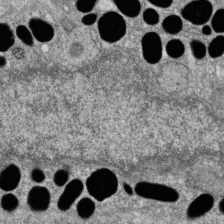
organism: Zebrafish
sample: Cilia; retinal pigment epithelium